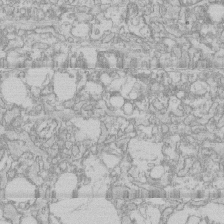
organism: Human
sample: CRL-1474